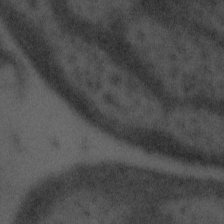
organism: Tuwongella immobilis